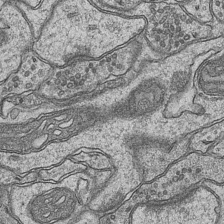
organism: Mouse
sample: CA1 Hippocampus